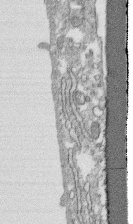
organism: Human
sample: CRL-1474